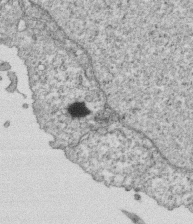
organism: Human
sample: HeLa cell HIV synapse